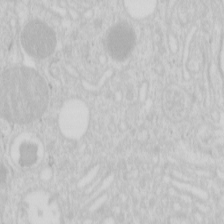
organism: Mouse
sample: Pancreas